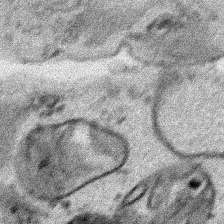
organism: Human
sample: Mitochondria in HCT116 cells